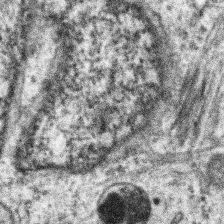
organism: Human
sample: HeLa cells